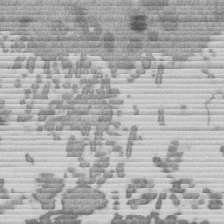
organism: Mouse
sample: Dividing mouse embryo 1 cell stage